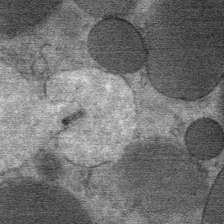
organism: Mouse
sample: Mouse Salivary gland